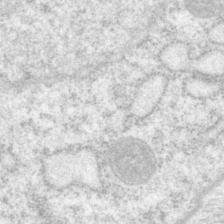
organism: P. pacificus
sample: Pharynx